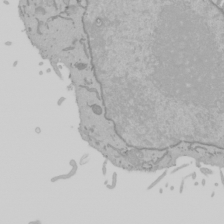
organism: Mouse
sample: Cancer cell death in ED-1 cells